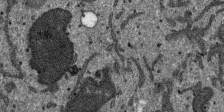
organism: Human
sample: Lung epithelial cells infected with SARS-CoV-2